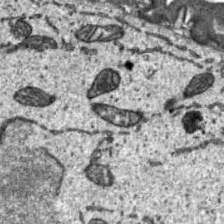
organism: Human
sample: HeLa cells